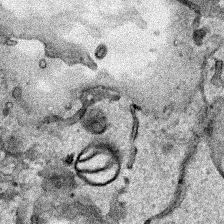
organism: Human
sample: Mitochondria in HCT116 cells